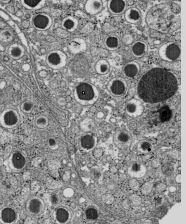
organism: C57BL Mouse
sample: Pancreatic islet